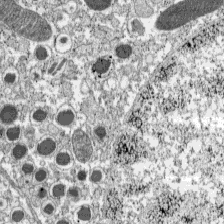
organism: C57BL Mouse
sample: Pancreatic islet